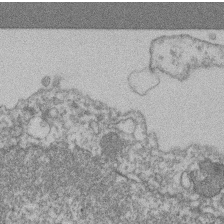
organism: Mouse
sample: T cell stromal cell synapse